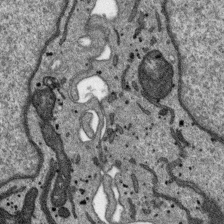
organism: Human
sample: Lung epithelial cells, uninfected (mock) control